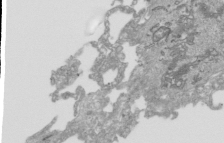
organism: Human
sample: Mitochondria in HCT116 cells